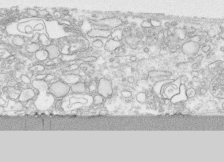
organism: Human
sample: CRL-1474